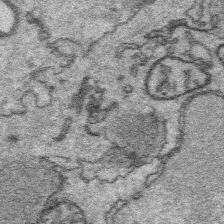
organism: Platynereis dumerilii